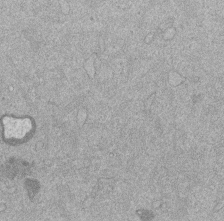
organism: Mouse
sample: Dividing mouse embryo 1 cell stage